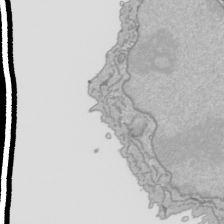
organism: Human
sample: Mitochondria in HCT116 cells